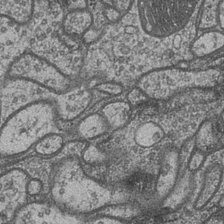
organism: Drosophila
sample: Optic medulla